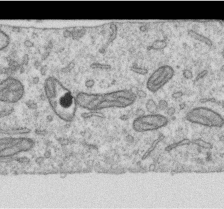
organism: Human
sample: Centriole in RPE cells